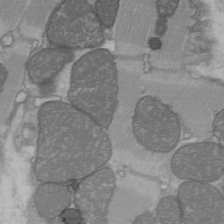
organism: C57BL Mouse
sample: Heart